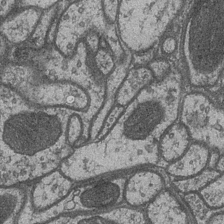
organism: Drosophila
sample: Optic medulla